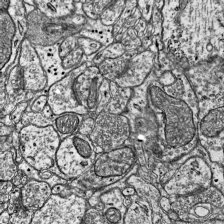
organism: Mouse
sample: Visual Cortex